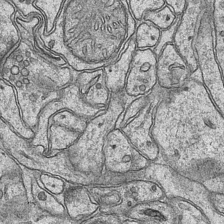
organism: Mouse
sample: CA1 Hippocampus